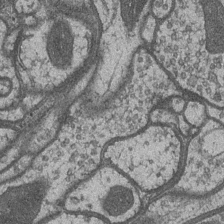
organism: Drosophila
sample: Optic medulla